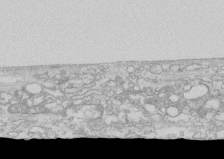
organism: Human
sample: CRL-1474